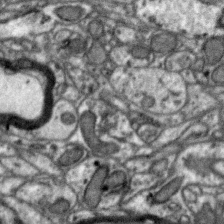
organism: Zebra finch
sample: Brain